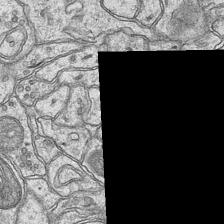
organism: Mouse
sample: CA1 Hippocampus